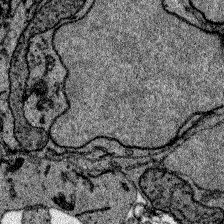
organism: Zebrafish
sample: Larval olfactory bulb